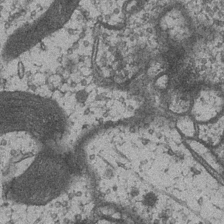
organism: Drosophila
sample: Optic medulla